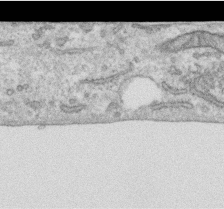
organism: Human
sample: Centriole in RPE cells